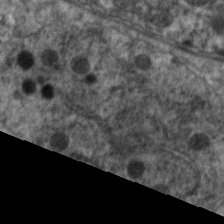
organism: C. elegans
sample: Pharynx